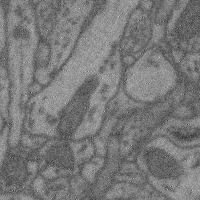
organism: Mouse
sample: Cerebral cortex